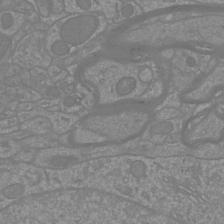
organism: Mouse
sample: Cortical neurons